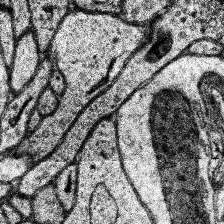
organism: Human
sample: Temporal Lobe